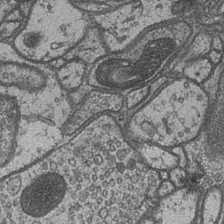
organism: Drosophila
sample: Optic medulla